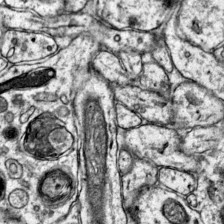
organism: Mouse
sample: Primary visual cortex